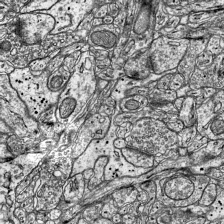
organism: Mouse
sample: Visual Cortex